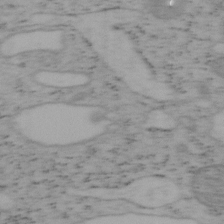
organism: Mouse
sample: OT-I killer T cells with ID8 ovarian cancer cells